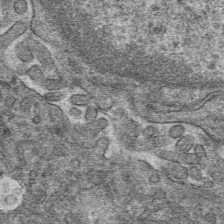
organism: Mouse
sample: Mouse hepatocytes